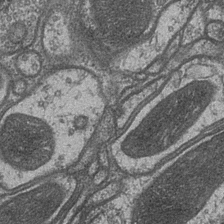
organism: Drosophila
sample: Optic medulla